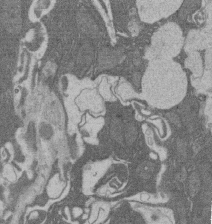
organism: Rat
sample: Salivary granule